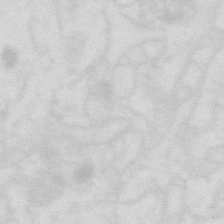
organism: Human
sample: HeLa cells